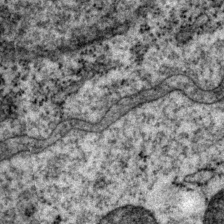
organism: P. pacificus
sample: Pharynx